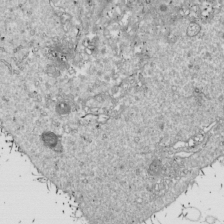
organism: Drosophila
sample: Cell division; meiosis; drosophila spermatocytes